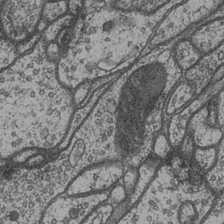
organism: Drosophila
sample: Optic medulla